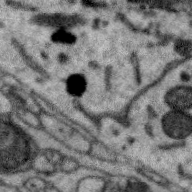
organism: Zebra finch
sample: Brain